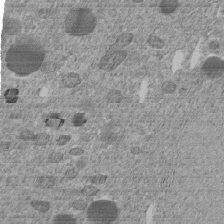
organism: C. elegans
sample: C. elegans embryo early stage